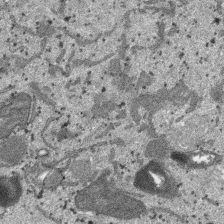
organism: Human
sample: Lung epithelial cells infected with SARS-CoV-2